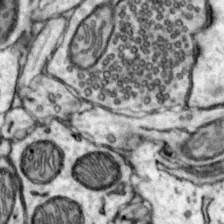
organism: Mouse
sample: Nucleus accumbens